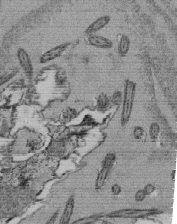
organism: Tetrahymena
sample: Cilia in tetrahymena